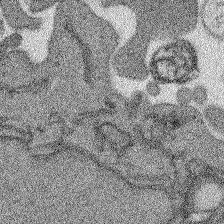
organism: Human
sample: HeLa cells